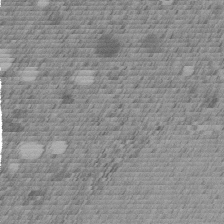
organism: C. elegans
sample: C. elegans embryo early stage